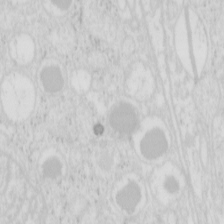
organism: Mouse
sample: Pancreas